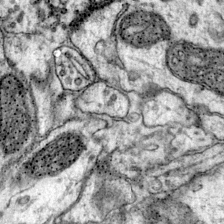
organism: Mouse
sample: Primary visual cortex